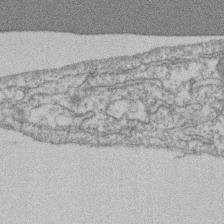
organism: Mouse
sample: T cell stromal cell synapse